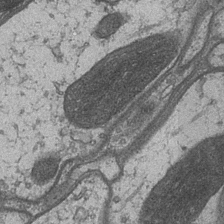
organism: Drosophila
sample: Optic medulla